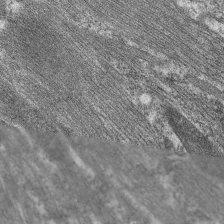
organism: C. elegans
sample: Pharynx